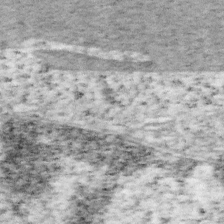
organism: Mouse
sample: OT-I killer T cells with ID8 ovarian cancer cells